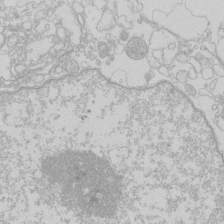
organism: Human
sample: Macrophage cells